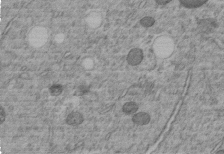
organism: C. elegans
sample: C. elegans embryo early stage